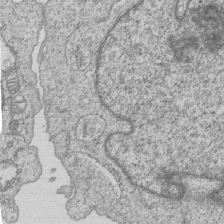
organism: Human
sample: MDA-MB-231 cells